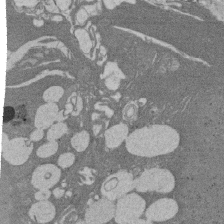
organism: Rat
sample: Salivary granule